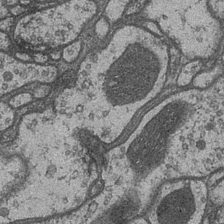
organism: Drosophila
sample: Optic medulla